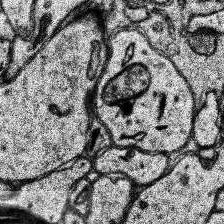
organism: Human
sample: Temporal Lobe